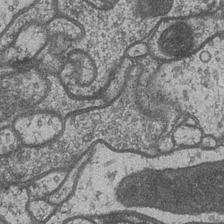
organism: Drosophila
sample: Optic medulla